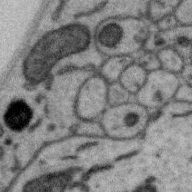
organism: Zebra finch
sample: Brain